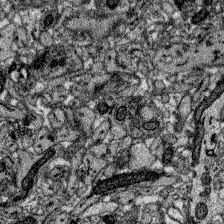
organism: Zebrafish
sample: Larval olfactory bulb